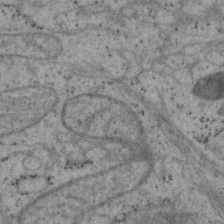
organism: Human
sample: HeLa cells